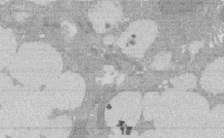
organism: Rat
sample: Salivary granule